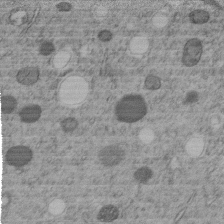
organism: C. elegans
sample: C. elegans embryo early stage